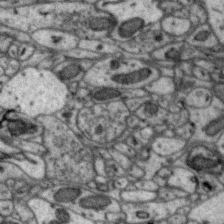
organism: Zebra finch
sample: Brain